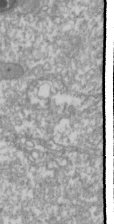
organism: Drosophila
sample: Cell division; meiosis; drosophila spermatocytes